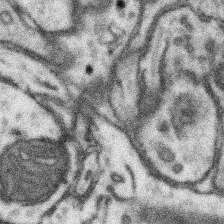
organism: Mouse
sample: Somatosensory cortex neuropil